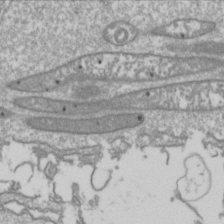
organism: Drosophila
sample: Cell division; meiosis; drosophila spermatocytes